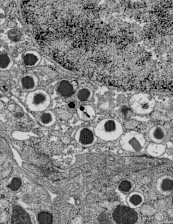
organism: C57BL Mouse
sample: Pancreatic islet